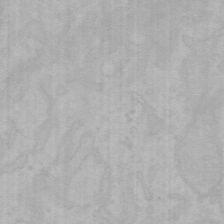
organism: Mouse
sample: Choroid plexus